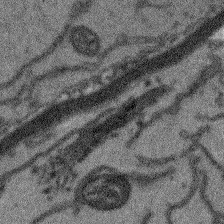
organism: Arabidopsis thaliana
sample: Root tip